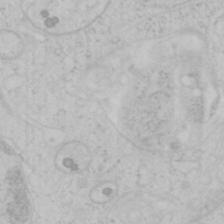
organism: Mouse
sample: OT-I killer T cells with ID8 ovarian cancer cells